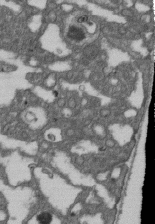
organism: Drosophila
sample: Nephrocyte